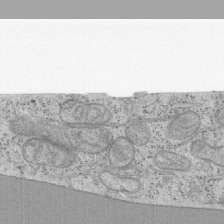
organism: Human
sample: HeLa cells